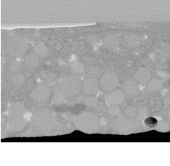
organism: C. elegans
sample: C. elegans oocyte; sperm cells